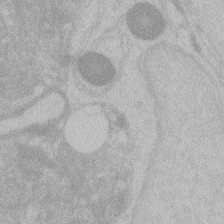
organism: Zebrafish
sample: Macrophage infected with Toxoplasma gondii